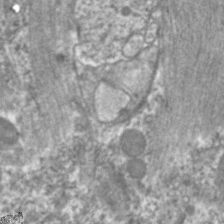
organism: C. elegans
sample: Pharynx